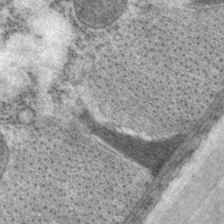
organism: P. pacificus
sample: Pharynx